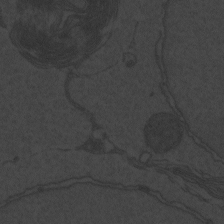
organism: Zebrafish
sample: Macrophage infected with Toxoplasma gondii